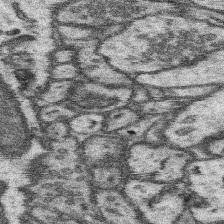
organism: Mouse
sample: Somatosensory cortex neuropil